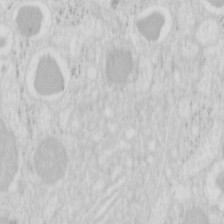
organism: Mouse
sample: Pancreas